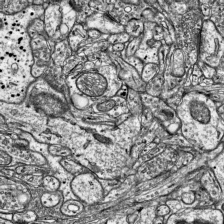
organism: Mouse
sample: Visual Cortex